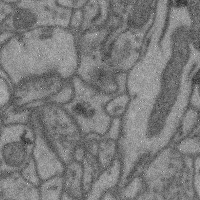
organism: Mouse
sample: Cerebral cortex